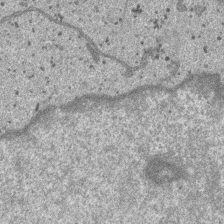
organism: Human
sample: Lung epithelial cells infected with SARS-CoV-2